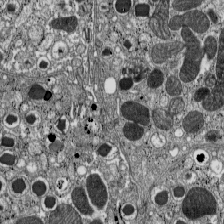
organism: C57BL Mouse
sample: Pancreatic islet